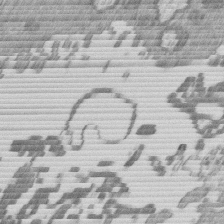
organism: Mouse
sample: Dividing mouse embryo 1 cell stage